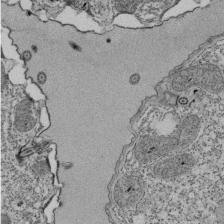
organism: Tetrahymena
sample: Cilia in tetrahymena